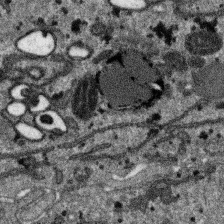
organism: Human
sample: Lung epithelial cells infected with SARS-CoV-2